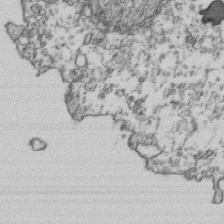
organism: Human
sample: Activated Jurkat CD4+ T cells